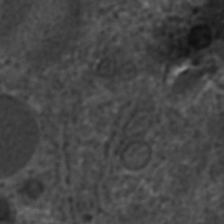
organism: C. elegans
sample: C. elegans embryo